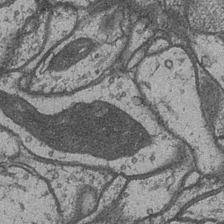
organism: Drosophila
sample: Optic medulla